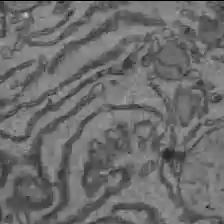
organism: C57BL Mouse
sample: Liver